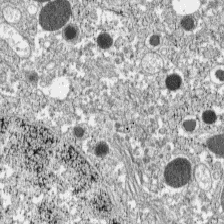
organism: C57BL Mouse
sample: Pancreatic islet